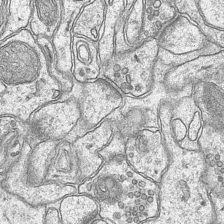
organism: Mouse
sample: CA1 Hippocampus